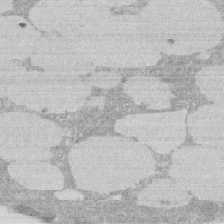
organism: Rat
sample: Salivary granule